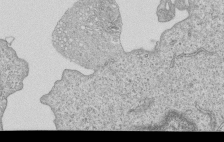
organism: Human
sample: MDA-MB-231 cells